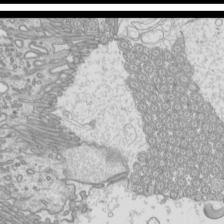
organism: Mouse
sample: Cilia; mouse epididymis